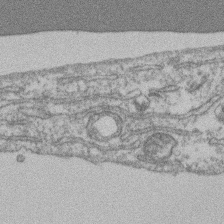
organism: Mouse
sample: T cell stromal cell synapse